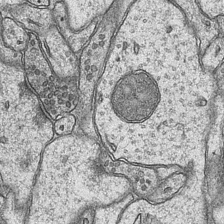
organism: Mouse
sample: CA1 Hippocampus